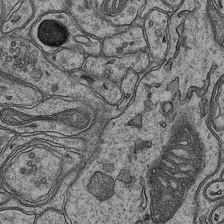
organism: Mouse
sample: CA1 Hippocampus